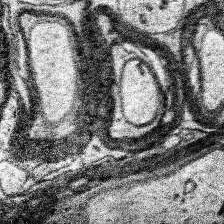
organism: Human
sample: Temporal Lobe